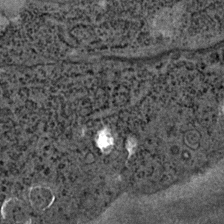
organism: C. elegans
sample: C. elegans embryo